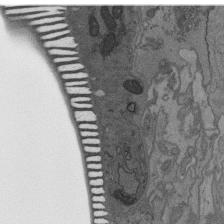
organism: C. elegans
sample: AFD neurons C. elegans